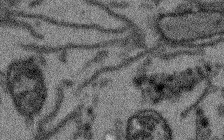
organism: Arabidopsis thaliana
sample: Root tip